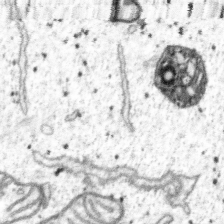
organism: Human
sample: HeLa cells